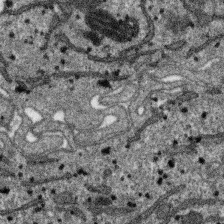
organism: Human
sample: Lung epithelial cells infected with SARS-CoV-2